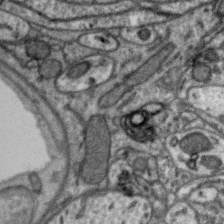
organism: Zebra finch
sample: Brain